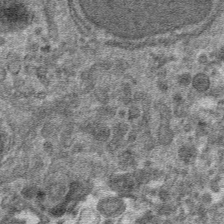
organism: Mouse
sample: Mouse hepatocytes